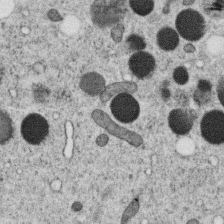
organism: C. elegans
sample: C. elegans oocyte; sperm cells